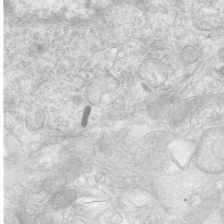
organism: Human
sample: Neocortex